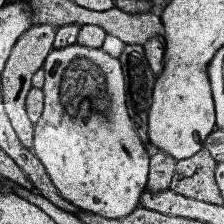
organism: Human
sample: Temporal Lobe